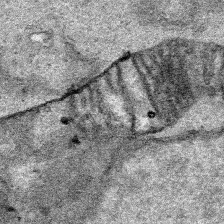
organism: Human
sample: Mitochondria in HCT116 cells